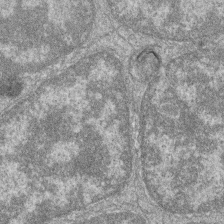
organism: Zebrafish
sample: Cilia; retinal pigment epithelium